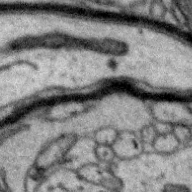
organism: Zebra finch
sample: Brain